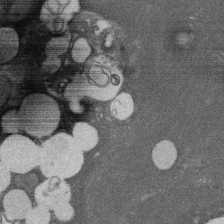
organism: Rat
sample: Salivary granule